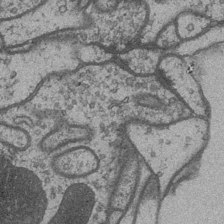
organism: Drosophila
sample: Optic medulla